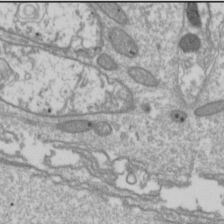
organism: Drosophila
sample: Cell division; meiosis; drosophila spermatocytes